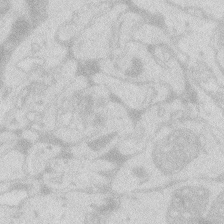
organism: Zebrafish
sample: Macrophage